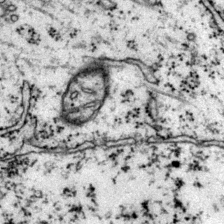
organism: Mouse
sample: Primary visual cortex